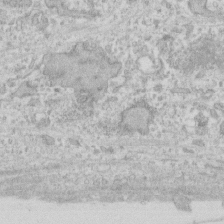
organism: Human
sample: Fibroblast cells